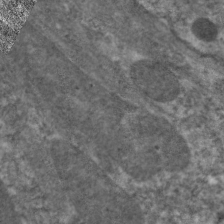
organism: C. elegans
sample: Pharynx